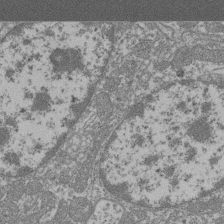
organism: Mouse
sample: Glomerulus